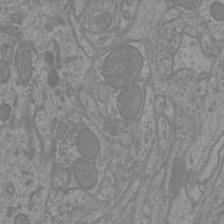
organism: Mouse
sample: Cortical neurons